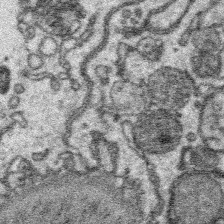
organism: Platynereis dumerilii